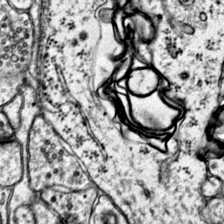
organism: Mouse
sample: Primary visual cortex